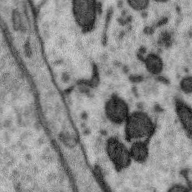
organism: Zebra finch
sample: Brain